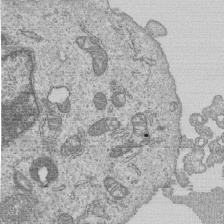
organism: Human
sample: MDA-MB-231 cells